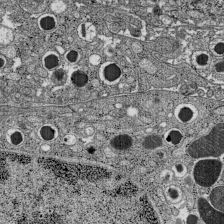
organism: C57BL Mouse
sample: Pancreatic islet